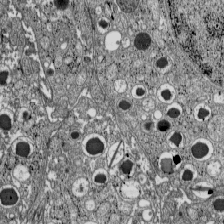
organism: C57BL Mouse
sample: Pancreatic islet